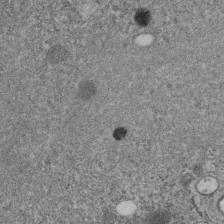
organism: C. elegans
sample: C. elegans embryo early stage